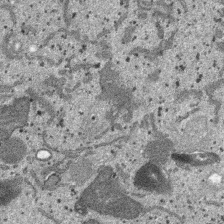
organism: Human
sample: Lung epithelial cells infected with SARS-CoV-2